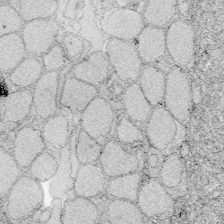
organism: Zebrafish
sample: Whole-Brain